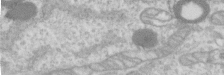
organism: Human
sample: Centriole in RPE cells